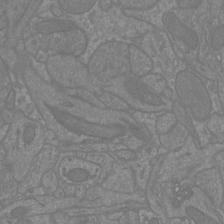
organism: Mouse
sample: Cortical neurons